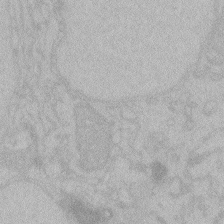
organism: Zebrafish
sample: Macrophage infected with Toxoplasma gondii